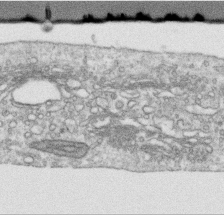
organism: Human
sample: Centriole in RPE cells